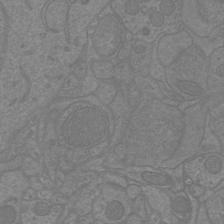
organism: Mouse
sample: Cortical neurons